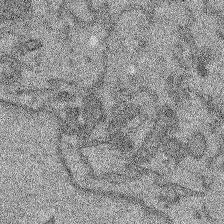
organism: Human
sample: HeLa cells